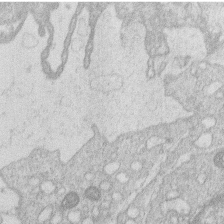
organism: Human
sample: Macrophage cells